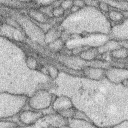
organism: Rabbit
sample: Retina